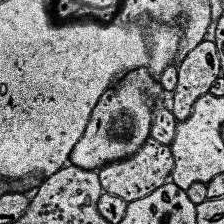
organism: Human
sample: Temporal Lobe